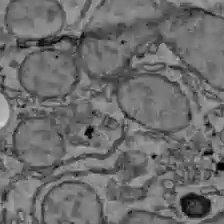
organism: C57BL Mouse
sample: Liver